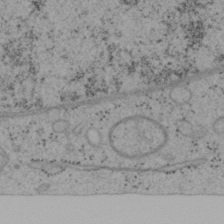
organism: Human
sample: HeLa cells